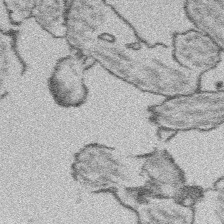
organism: Platynereis dumerilii